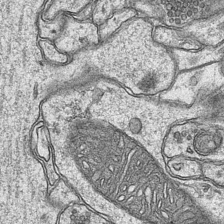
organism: Mouse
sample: CA1 Hippocampus